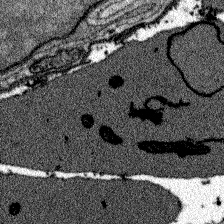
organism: Zebrafish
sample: Larval olfactory bulb